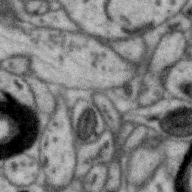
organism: Zebra finch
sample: Brain